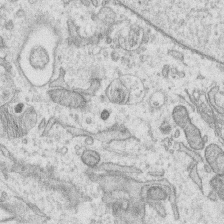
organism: Human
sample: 1205lu cells